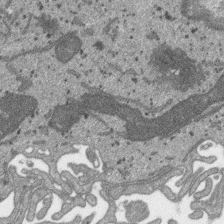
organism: Human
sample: Lung epithelial cells infected with SARS-CoV-2